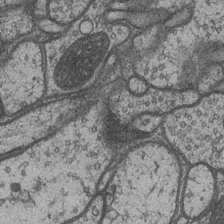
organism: Drosophila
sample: Optic medulla